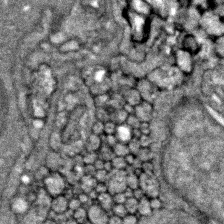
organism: Zebrafish